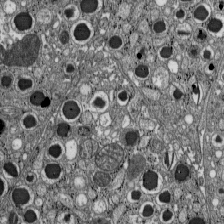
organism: C57BL Mouse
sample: Pancreatic islet